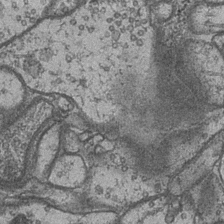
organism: Drosophila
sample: Optic medulla